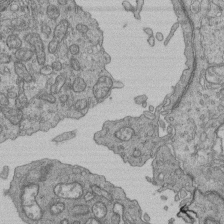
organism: Human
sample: Retinal organoid Rod and Cone cells